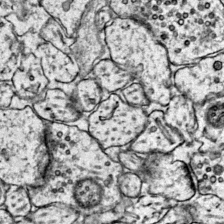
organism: Mouse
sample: Primary visual cortex